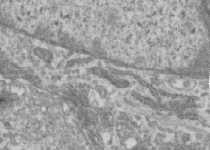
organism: Human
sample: Centriole in RPE cells